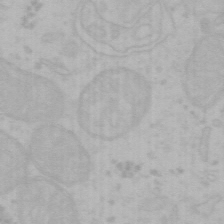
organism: Mouse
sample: Choroid plexus